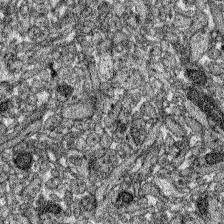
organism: Zebrafish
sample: Larval olfactory bulb